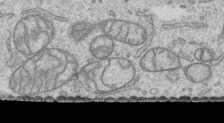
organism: Human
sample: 1205lu cells